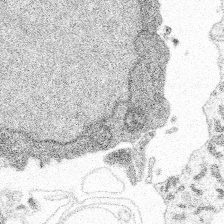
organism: Spongilla lacustris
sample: Multiple